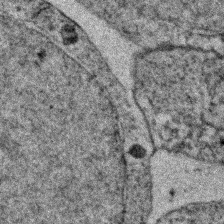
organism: Zebrafish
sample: Zebrafish embryo